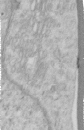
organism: Human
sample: Centriole in RPE cells